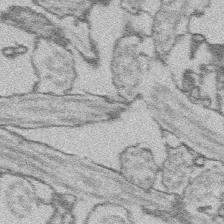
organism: Platynereis dumerilii